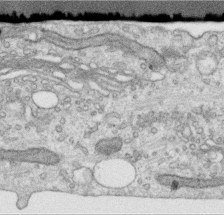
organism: Human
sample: Centriole in RPE cells